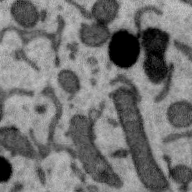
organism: Zebra finch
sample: Brain